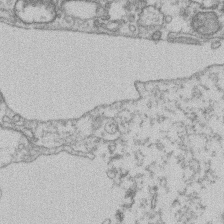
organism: Mouse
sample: T cell stromal cell synapse